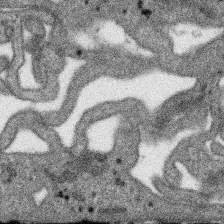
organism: Human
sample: Lung epithelial cells infected with SARS-CoV-2